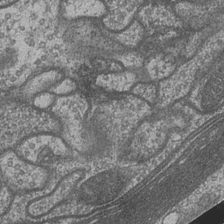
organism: Drosophila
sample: Optic medulla